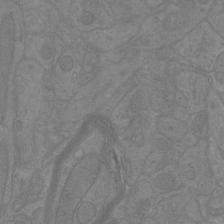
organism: Mouse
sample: Cortical neurons